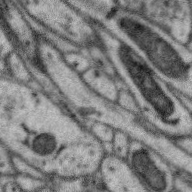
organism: Zebra finch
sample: Brain